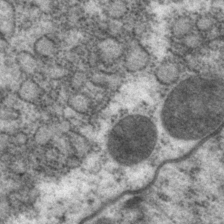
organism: P. pacificus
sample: Pharynx